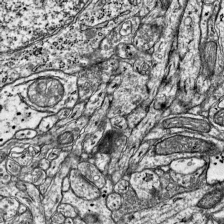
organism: Mouse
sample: Visual Cortex